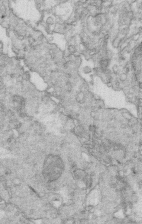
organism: Mouse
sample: Multiciliated cells